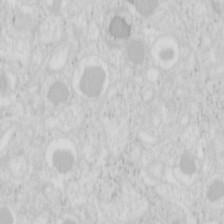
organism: Mouse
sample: Pancreas